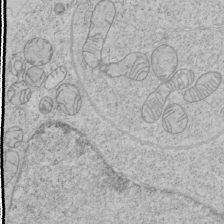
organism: Human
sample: Mitochondria in HCT116 cells